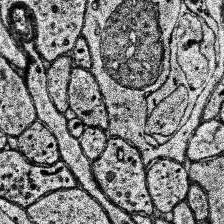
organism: Human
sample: Temporal Lobe